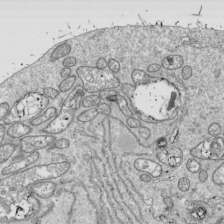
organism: Drosophila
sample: Cell division; meiosis; drosophila spermatocytes